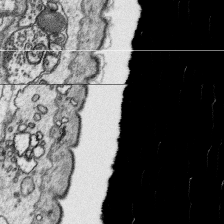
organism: Platynereis dumerilii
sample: Parapodia